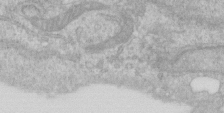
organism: Human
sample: Centriole in RPE cells